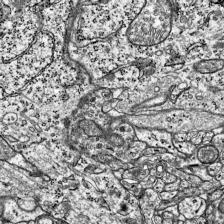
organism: Mouse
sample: Visual Cortex